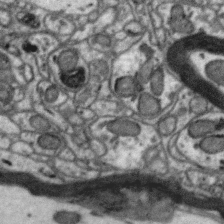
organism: Zebra finch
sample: Brain